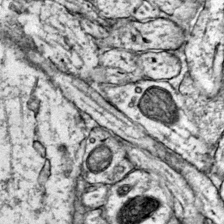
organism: Mouse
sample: Primary visual cortex